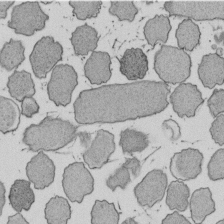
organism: E. coli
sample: Bacterial nucleoid